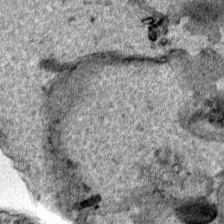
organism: Human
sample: Mitochondria in HCT116 cells